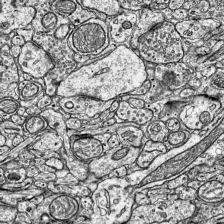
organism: Mouse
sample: Visual Cortex